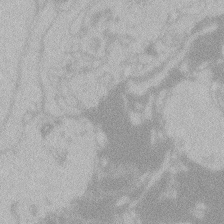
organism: Zebrafish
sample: Macrophage infected with Toxoplasma gondii